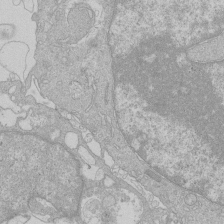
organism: Human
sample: Macrophage cells